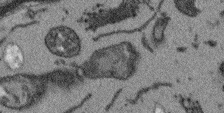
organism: Arabidopsis thaliana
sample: Root tip